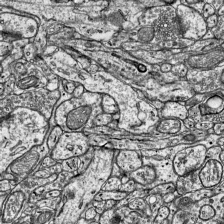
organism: Mouse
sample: Visual Cortex